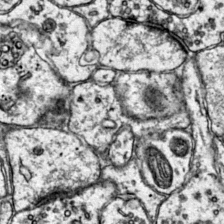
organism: Mouse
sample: Primary visual cortex